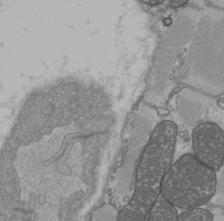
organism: C57BL Mouse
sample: Heart